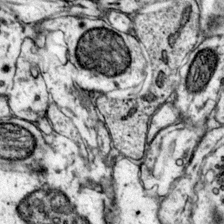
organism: Mouse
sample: Primary visual cortex